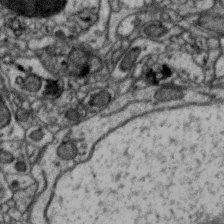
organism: Zebra finch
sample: Brain